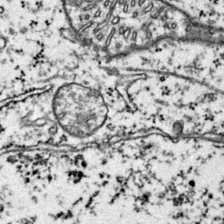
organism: Mouse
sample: Primary visual cortex